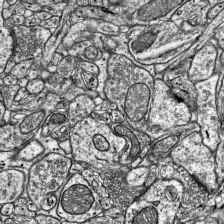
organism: Mouse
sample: Visual Cortex